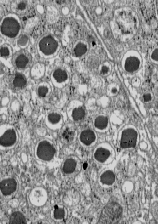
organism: C57BL Mouse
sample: Pancreatic islet